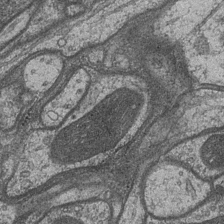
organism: Drosophila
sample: Optic medulla